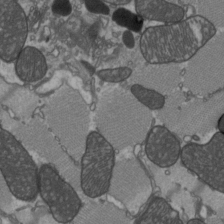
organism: C57BL Mouse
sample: Heart